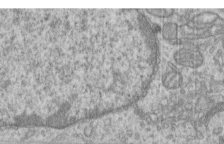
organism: Human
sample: Centriole in RPE cells